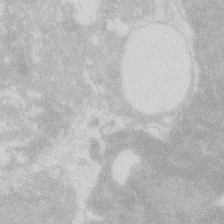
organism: Zebrafish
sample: Macrophage